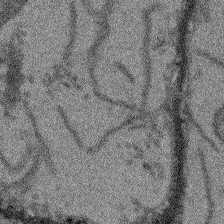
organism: Arabidopsis thaliana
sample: Root tip